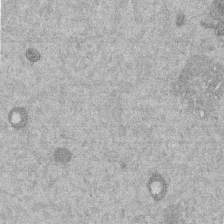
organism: Mouse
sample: Dividing mouse embryo 1 cell stage